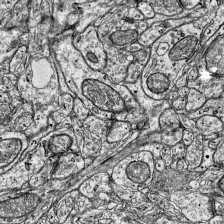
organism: Mouse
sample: Visual Cortex